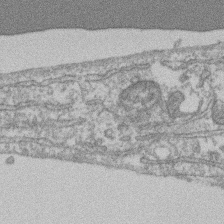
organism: Mouse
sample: T cell stromal cell synapse